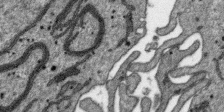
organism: Human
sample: Lung epithelial cells, uninfected (mock) control